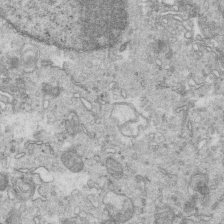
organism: Mouse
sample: Multiciliated cells